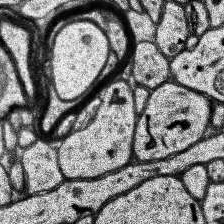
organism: Human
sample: Temporal Lobe